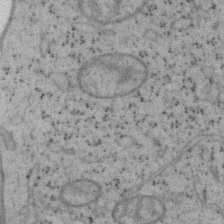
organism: Human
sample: HeLa cells